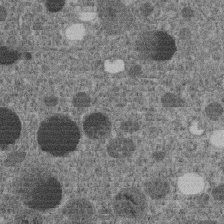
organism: C. elegans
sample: C. elegans embryo early stage